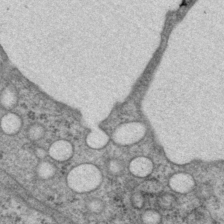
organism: P. pacificus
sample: Pharynx